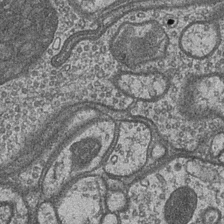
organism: Drosophila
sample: Optic medulla